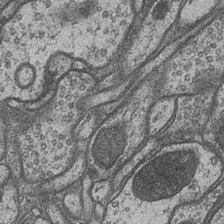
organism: Drosophila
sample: Optic medulla